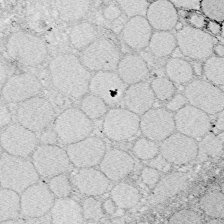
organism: Zebrafish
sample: Whole-Brain